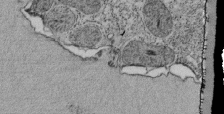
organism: Tetrahymena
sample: Cilia in tetrahymena